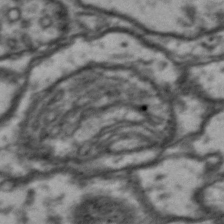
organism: Drosophila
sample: Brain